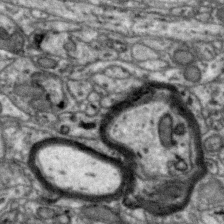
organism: Zebra finch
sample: Brain